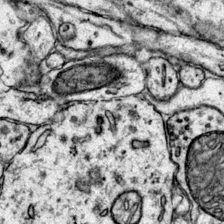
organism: Mouse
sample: Primary visual cortex